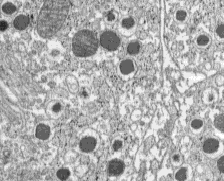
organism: C57BL Mouse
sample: Pancreatic islet